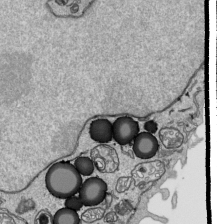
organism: Human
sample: Mitochondria in HCT116 cells